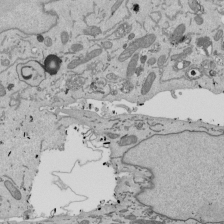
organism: Mouse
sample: ED-1 cell nuclei; centrioles